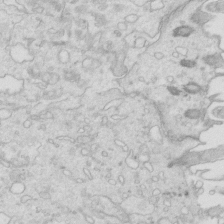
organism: Mouse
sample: Multiciliated cells